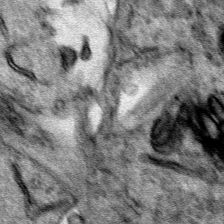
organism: Human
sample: Mitochondria in HCT116 cells